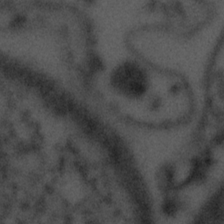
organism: Tuwongella immobilis